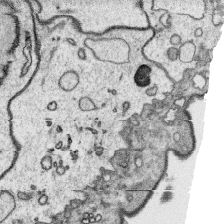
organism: Platynereis dumerilii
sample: Parapodia